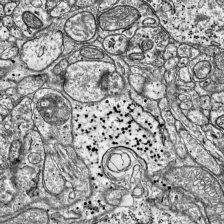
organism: Mouse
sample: Visual Cortex